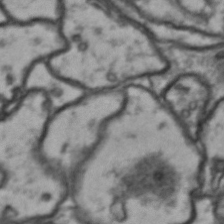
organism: Drosophila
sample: Brain